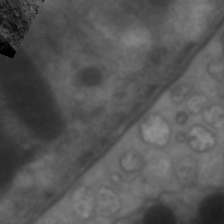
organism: C. elegans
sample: Pharynx